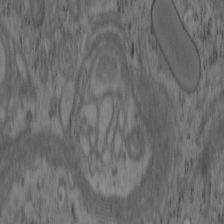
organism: Human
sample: HeLa cells